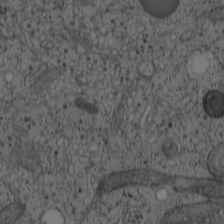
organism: African green monkey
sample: COS-7 cells